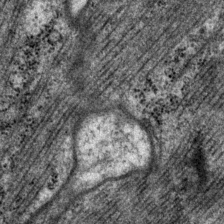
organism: P. pacificus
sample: Pharynx